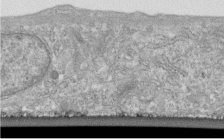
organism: Human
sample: Centriole in fibroblast cells